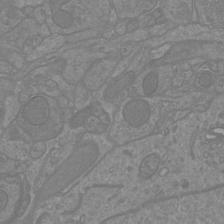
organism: Mouse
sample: Cortical neurons